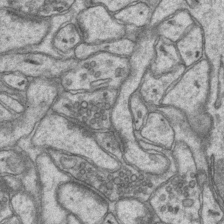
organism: Mouse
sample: CA1 Hippocampus